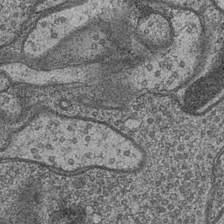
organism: Drosophila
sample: Optic medulla